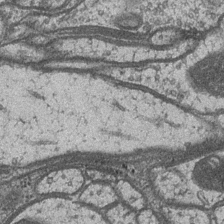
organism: Drosophila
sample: Optic medulla